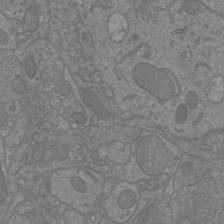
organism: Mouse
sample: Cortical neurons